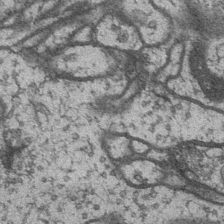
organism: Drosophila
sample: Optic medulla